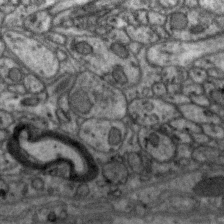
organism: Zebra finch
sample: Brain